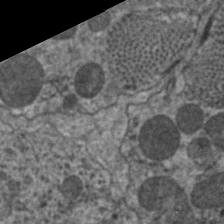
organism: C. elegans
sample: Pharynx